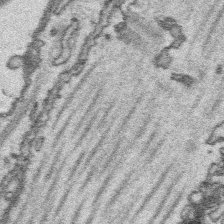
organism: Platynereis dumerilii